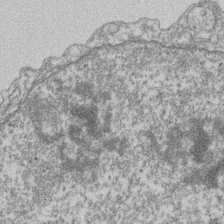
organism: Mouse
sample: T cell stromal cell synapse